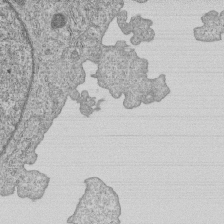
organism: Human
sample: MDA-MB-231 cells